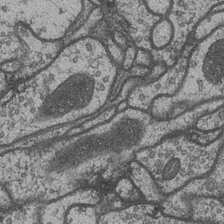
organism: Drosophila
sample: Optic medulla